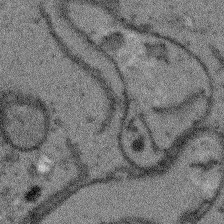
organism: Arabidopsis thaliana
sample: Root tip